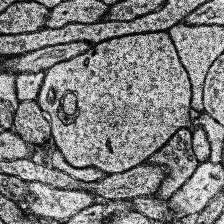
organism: Human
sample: Temporal Lobe